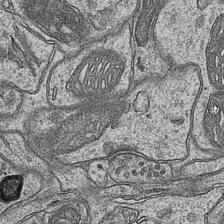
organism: Mouse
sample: CA1 Hippocampus